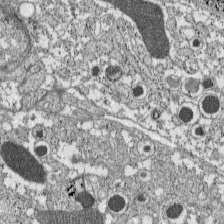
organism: C57BL Mouse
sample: Pancreatic islet